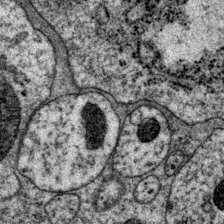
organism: P. pacificus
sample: Pharynx